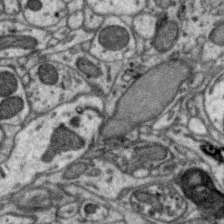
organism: Zebra finch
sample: Brain